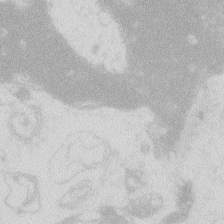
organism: Zebrafish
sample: Macrophage